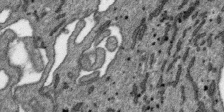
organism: Human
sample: Lung epithelial cells, uninfected (mock) control